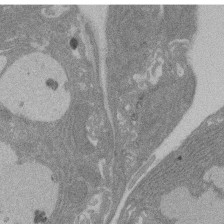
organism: Rat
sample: Salivary granule